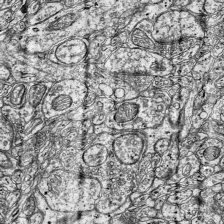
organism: Mouse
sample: Visual Cortex